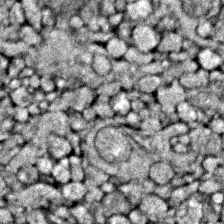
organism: Zebrafish